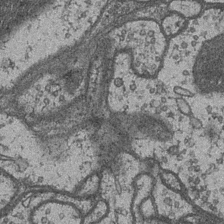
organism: Drosophila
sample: Optic medulla